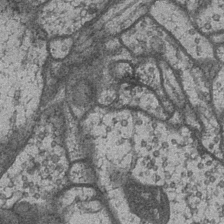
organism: Drosophila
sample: Optic medulla